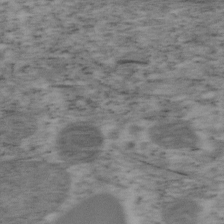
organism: Mouse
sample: OT-I killer T cells with ID8 ovarian cancer cells